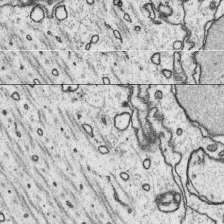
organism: Platynereis dumerilii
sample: Parapodia